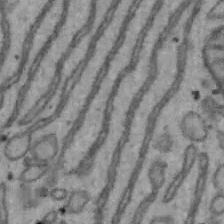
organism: Mouse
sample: Liver